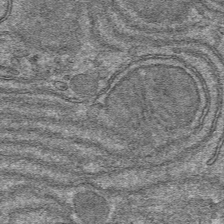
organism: Mouse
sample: Mouse hepatocytes